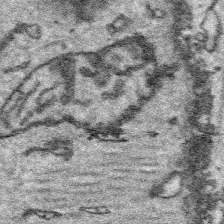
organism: Platynereis dumerilii